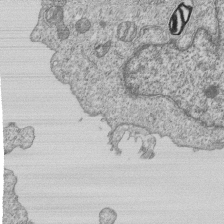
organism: Human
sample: MDA-MB-231 cells